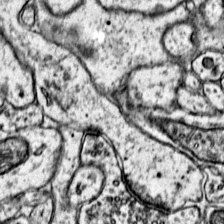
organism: Mouse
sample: Primary visual cortex